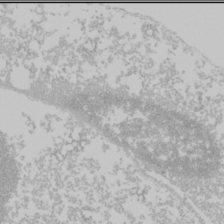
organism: Mouse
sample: Cancer cell death in ED-1 cells